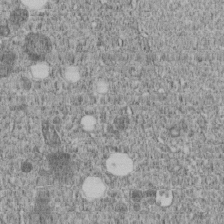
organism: C. elegans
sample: C. elegans embryo early stage